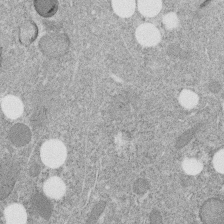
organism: C. elegans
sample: C. elegans embryo early stage